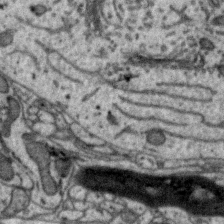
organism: Zebra finch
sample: Brain